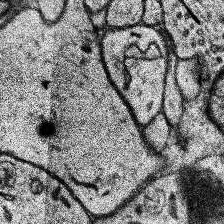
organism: Human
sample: Temporal Lobe